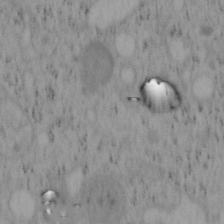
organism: Mouse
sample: OT-I killer T cells with ID8 ovarian cancer cells